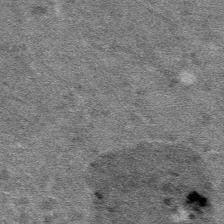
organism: Mouse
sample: Mouse hepatocytes